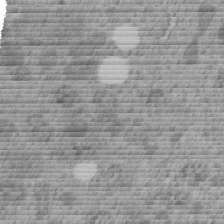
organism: C. elegans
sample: C. elegans embryo early stage